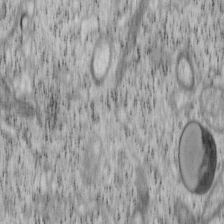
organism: Human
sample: HeLa cells